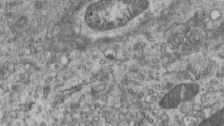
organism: Mouse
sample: Centriole in ependymal cells